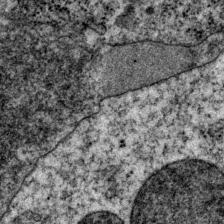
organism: P. pacificus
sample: Pharynx